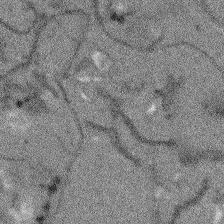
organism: Arabidopsis thaliana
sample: Root tip